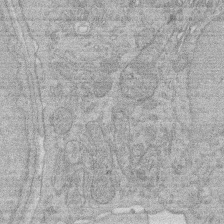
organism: Rat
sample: Salivary granule